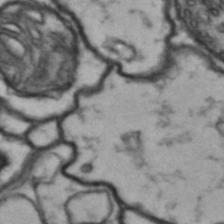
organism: Drosophila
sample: Brain